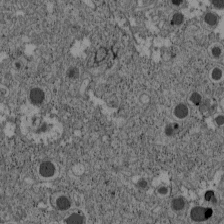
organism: C57BL Mouse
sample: Pancreatic islet